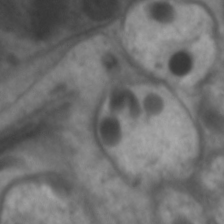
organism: C. elegans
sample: Pharynx